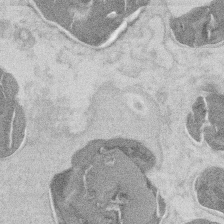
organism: Mouse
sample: T cell stromal cell synapse